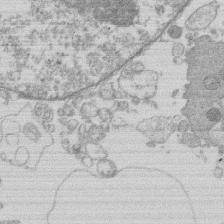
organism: Human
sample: Macrophage cells